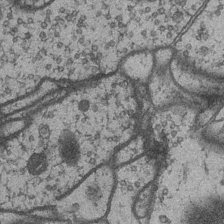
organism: Drosophila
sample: Optic medulla